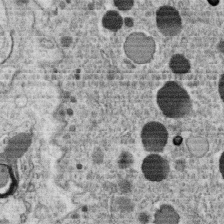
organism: C. elegans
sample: C. elegans oocyte; sperm cells